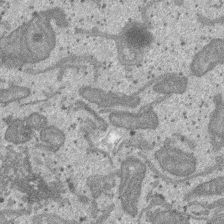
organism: Human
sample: Lung epithelial cells infected with SARS-CoV-2